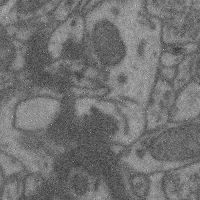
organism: Mouse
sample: Cerebral cortex